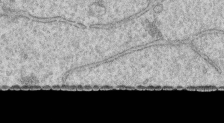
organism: Human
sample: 1205lu cells